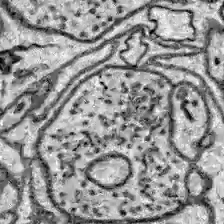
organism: Zebrafish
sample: Brain